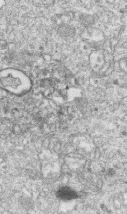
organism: Human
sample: HeLa cell HIV synapse